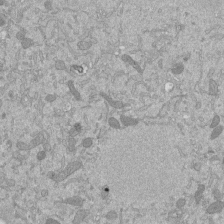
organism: Mouse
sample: ED-1 cell nuclei; centrioles